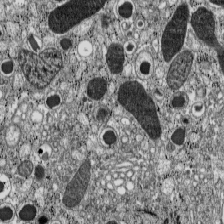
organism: C57BL Mouse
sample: Pancreatic islet